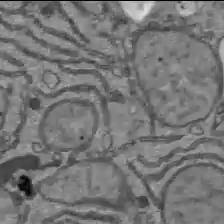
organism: C57BL Mouse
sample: Liver